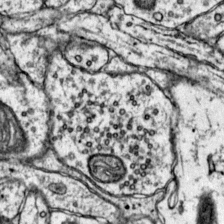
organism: Mouse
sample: Primary visual cortex